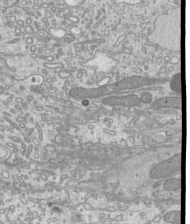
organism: Mouse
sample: Cilia; mouse epididymis